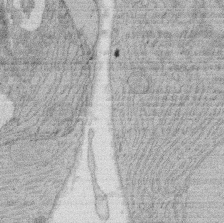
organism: Rat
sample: Salivary granule